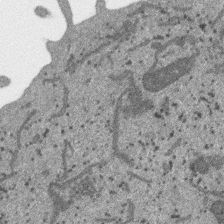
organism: Human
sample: Lung epithelial cells infected with SARS-CoV-2